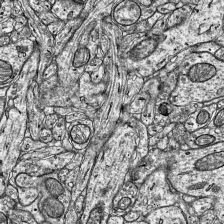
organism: Mouse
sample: Visual Cortex